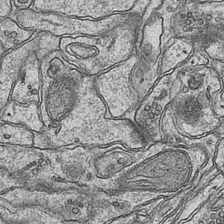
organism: Mouse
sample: CA1 Hippocampus